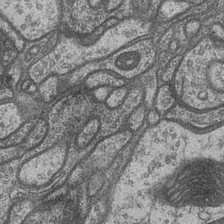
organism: Drosophila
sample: Optic medulla